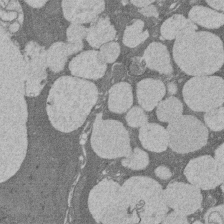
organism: Rat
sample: Salivary granule